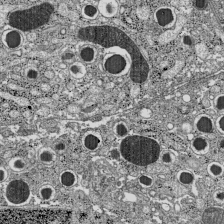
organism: C57BL Mouse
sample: Pancreatic islet